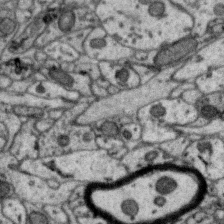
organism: Zebra finch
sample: Brain